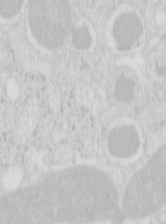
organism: Mouse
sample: Pancreas